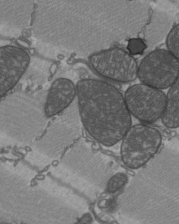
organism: C57BL Mouse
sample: Heart